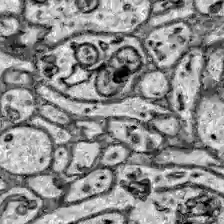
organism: Zebrafish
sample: Brain